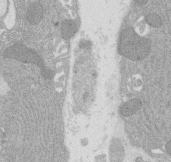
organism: Rat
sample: Salivary granule